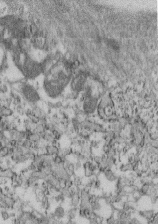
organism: Mouse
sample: Cilia; retinal pigment epithelium